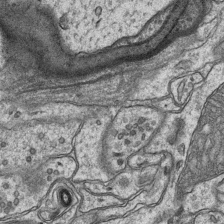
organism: Mouse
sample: CA1 Hippocampus